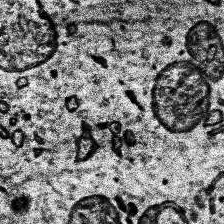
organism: Human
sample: Temporal Lobe